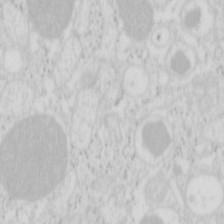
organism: Mouse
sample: Pancreas